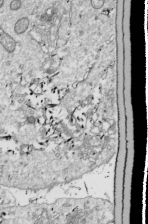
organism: Drosophila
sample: Cell division; meiosis; drosophila spermatocytes